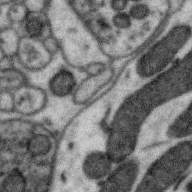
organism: Zebra finch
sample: Brain